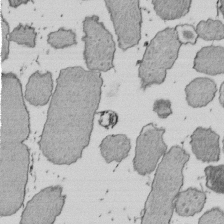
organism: E. coli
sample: Bacterial nucleoid